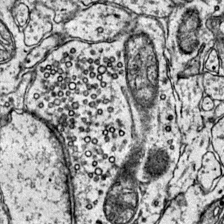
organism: Mouse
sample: Primary visual cortex